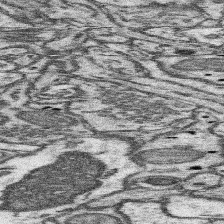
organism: Mouse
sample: Somatosensory cortex neuropil